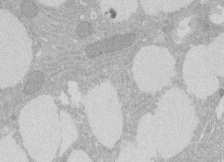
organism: Rat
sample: Salivary granule